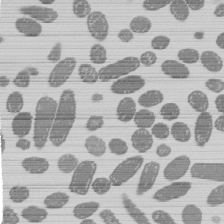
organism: E. coli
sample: Bacterial nucleoid